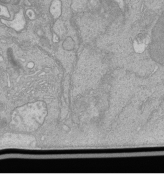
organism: Human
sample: Retinal organoid Rod and Cone cells